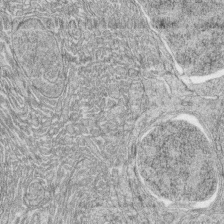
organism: Zebrafish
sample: synaptic ribbons in rod cells and cone cells